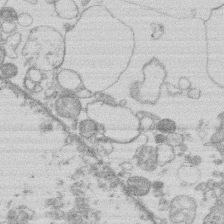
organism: Human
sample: Macrophage cells